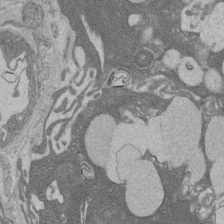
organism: Rat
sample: Salivary granule